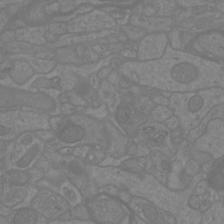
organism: Mouse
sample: Cortical neurons